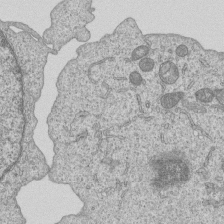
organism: Human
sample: MDA-MB-231 cells